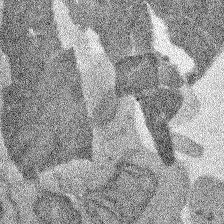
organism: Human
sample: HeLa cells